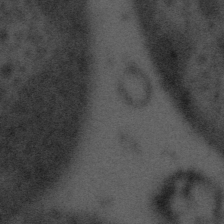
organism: Tuwongella immobilis